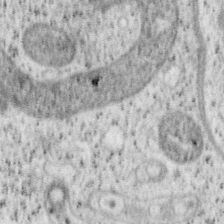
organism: Mouse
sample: OT-I killer T cells with ID8 ovarian cancer cells